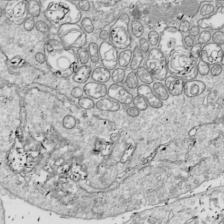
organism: Drosophila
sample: Cell division; meiosis; drosophila spermatocytes